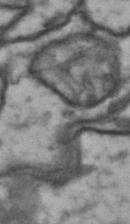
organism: Drosophila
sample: Brain